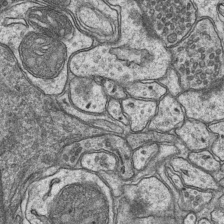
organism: Mouse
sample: CA1 Hippocampus